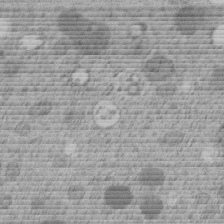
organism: C. elegans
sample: C. elegans embryo early stage